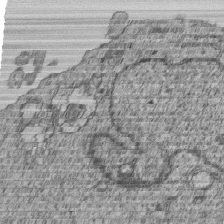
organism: Human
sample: MDA-MB-231 cells